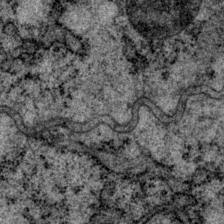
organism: P. pacificus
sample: Pharynx